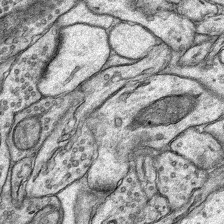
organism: Rat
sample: Hippocampus